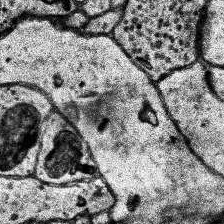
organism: Human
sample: Temporal Lobe